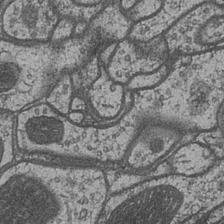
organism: Drosophila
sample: Optic medulla